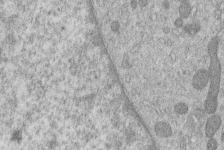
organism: Human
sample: Macrophage cells